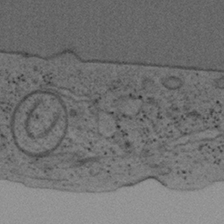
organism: Human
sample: HeLa cells